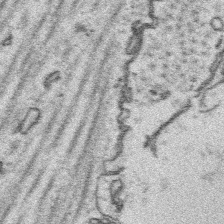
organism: Platynereis dumerilii